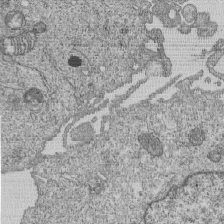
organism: Human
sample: MDA-MB-231 cells